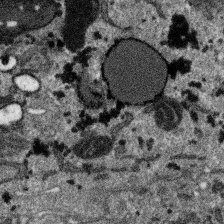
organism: Human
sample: Lung epithelial cells infected with SARS-CoV-2